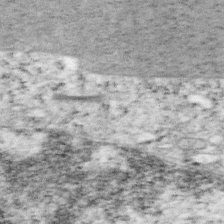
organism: Mouse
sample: OT-I killer T cells with ID8 ovarian cancer cells